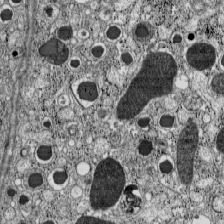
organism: C57BL Mouse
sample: Pancreatic islet